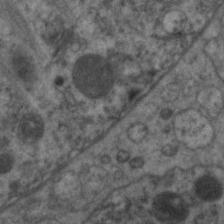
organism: C. elegans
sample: Pharynx